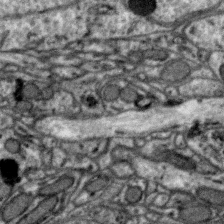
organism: Zebra finch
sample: Brain